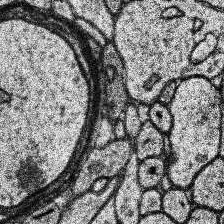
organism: Human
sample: Temporal Lobe